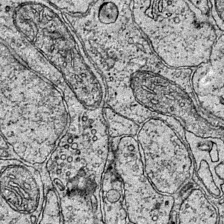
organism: Mouse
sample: Primary visual cortex